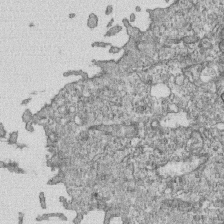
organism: Human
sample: HeLa cell HIV synapse